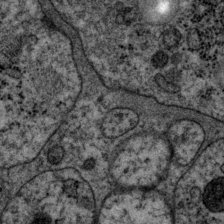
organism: P. pacificus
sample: Pharynx